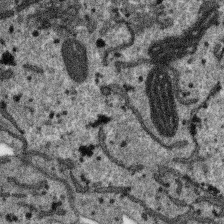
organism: Human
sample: Lung epithelial cells infected with SARS-CoV-2